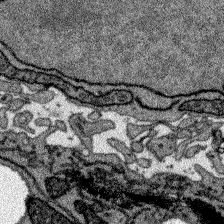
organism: Zebrafish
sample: Larval olfactory bulb